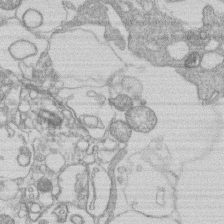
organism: Human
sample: Macrophage cells